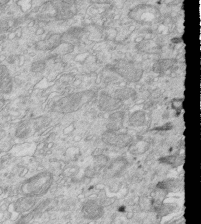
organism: Mouse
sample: Multiciliated cells